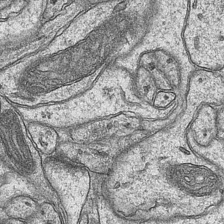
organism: Mouse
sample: CA1 Hippocampus